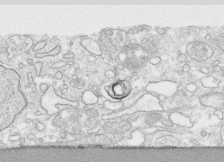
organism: Human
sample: CRL-1474